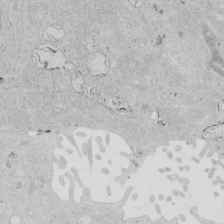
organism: Human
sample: Mitochondria in HCT116 cells